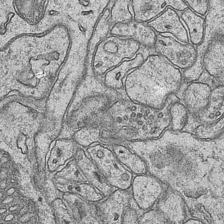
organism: Mouse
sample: CA1 Hippocampus